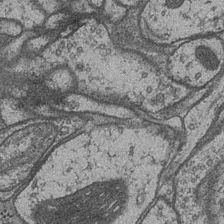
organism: Drosophila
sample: Optic medulla